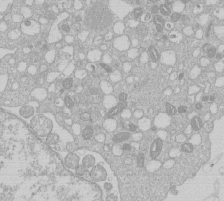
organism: Human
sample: Macrophage cells